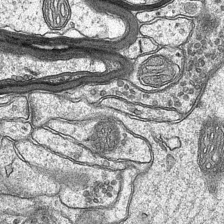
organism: Mouse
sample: CA1 Hippocampus